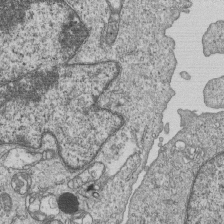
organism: Human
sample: MDA-MB-231 cells